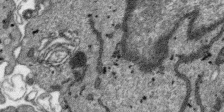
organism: Human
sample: Lung epithelial cells, uninfected (mock) control